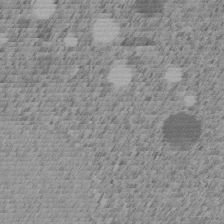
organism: C. elegans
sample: C. elegans embryo early stage